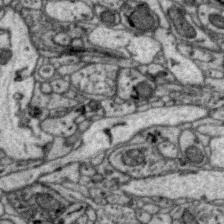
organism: Zebra finch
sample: Brain